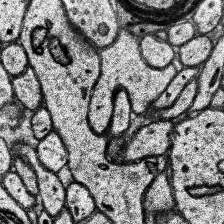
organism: Human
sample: Temporal Lobe